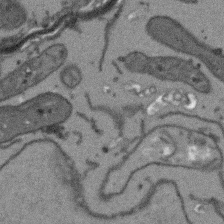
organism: Arabidopsis thaliana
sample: Root tip